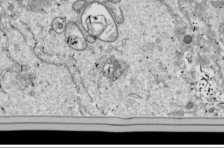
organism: Drosophila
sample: Cell division; meiosis; drosophila spermatocytes